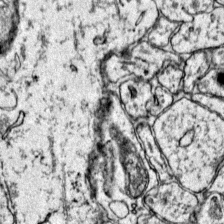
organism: Mouse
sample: Primary visual cortex